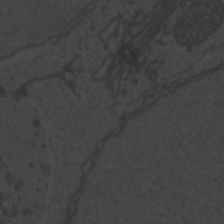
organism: Zebrafish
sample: Macrophage infected with Toxoplasma gondii